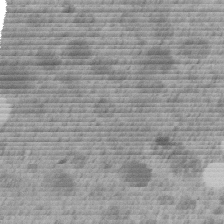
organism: C. elegans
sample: C. elegans embryo early stage